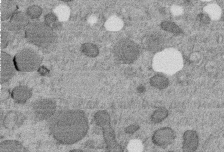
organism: C. elegans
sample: C. elegans embryo early stage